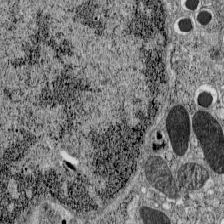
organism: C57BL Mouse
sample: Pancreatic islet